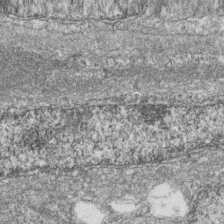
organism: Zebrafish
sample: Cilia; retinal pigment epithelium